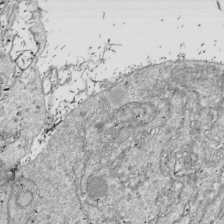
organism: Drosophila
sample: Cell division; meiosis; drosophila spermatocytes